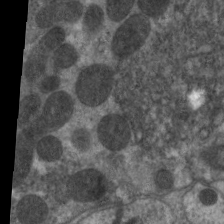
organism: C. elegans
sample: Pharynx